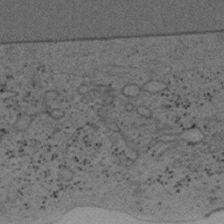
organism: Human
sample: HeLa cells